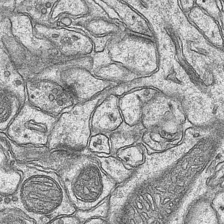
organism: Mouse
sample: CA1 Hippocampus